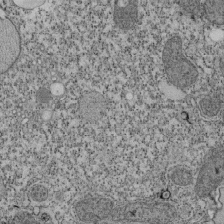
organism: Tetrahymena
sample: Cilia in tetrahymena